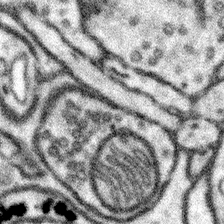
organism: Mouse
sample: Somatosensory cortex neuropil